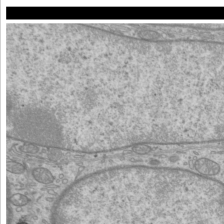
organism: Mouse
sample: Cilia; mouse epididymis